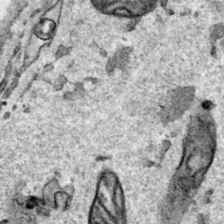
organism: Human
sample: Mitochondria in HCT116 cells